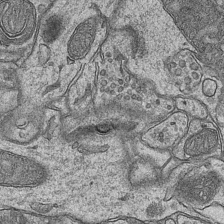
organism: Mouse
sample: CA1 Hippocampus